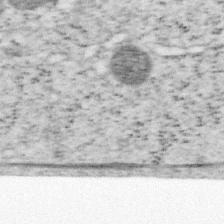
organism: Mouse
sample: OT-I killer T cells with ID8 ovarian cancer cells